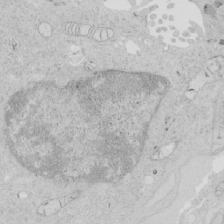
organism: Human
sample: Mitochondria in HCT116 cells